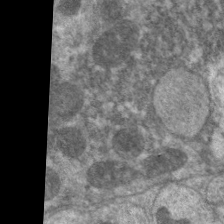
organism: C. elegans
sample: Pharynx